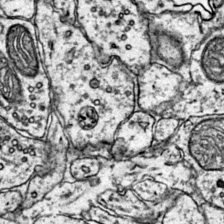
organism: Mouse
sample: Primary visual cortex